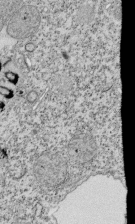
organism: Tetrahymena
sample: Cilia in tetrahymena